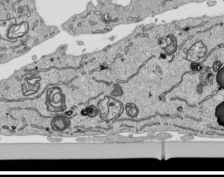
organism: Human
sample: Mitochondria in HCT116 cells